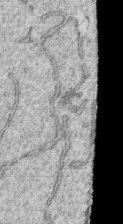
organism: Human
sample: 1205lu cells